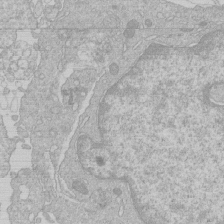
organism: Human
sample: Macrophage cells